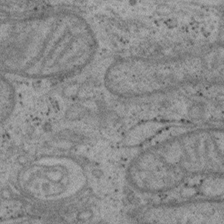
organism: Human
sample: HeLa cells